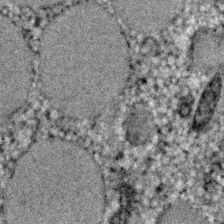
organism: C. elegans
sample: C. elegans embryo